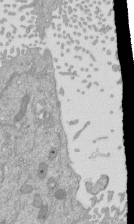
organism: Mouse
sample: ED-1 cell nuclei; centrioles